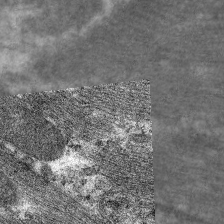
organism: C. elegans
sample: Pharynx